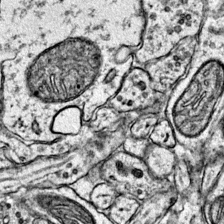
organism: Mouse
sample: Primary visual cortex